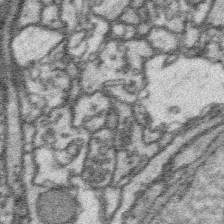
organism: Platynereis dumerilii